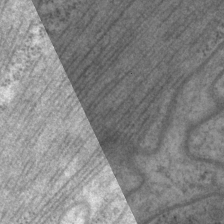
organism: P. pacificus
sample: Pharynx